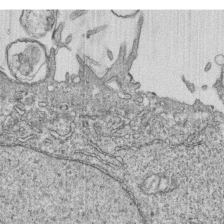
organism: Human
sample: HeLa cell HIV synapse